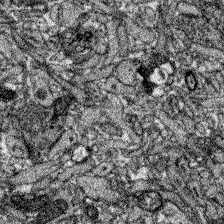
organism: Zebrafish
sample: Larval olfactory bulb